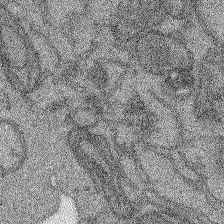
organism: Human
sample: HeLa cells